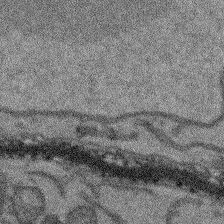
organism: Arabidopsis thaliana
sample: Root tip